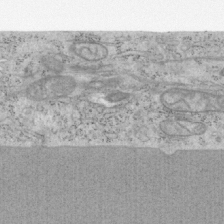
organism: Human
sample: HeLa cells